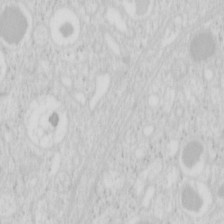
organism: Mouse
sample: Pancreas